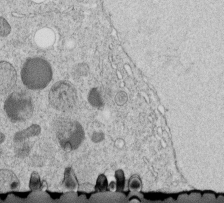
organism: C. elegans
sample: C. elegans embryo early stage